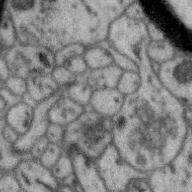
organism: Zebra finch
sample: Brain